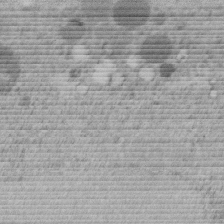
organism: C. elegans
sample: C. elegans embryo early stage